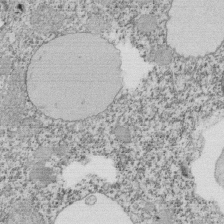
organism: Tetrahymena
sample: Cilia in tetrahymena